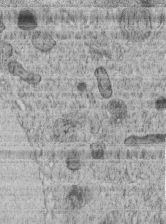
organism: C. elegans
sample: C. elegans embryo early stage